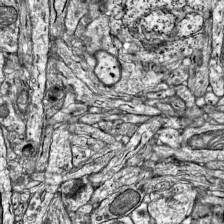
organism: Mouse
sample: Visual Cortex